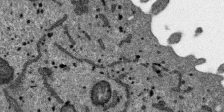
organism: Human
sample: Lung epithelial cells, uninfected (mock) control